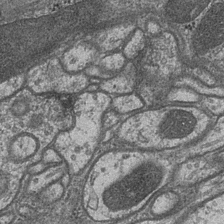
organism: Drosophila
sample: Optic medulla